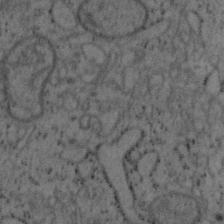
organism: Human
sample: HeLa cells